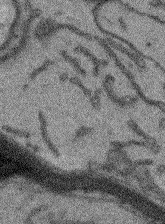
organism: Arabidopsis thaliana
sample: Root tip